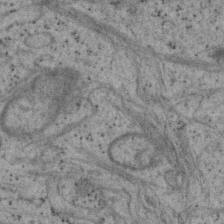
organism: Human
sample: HeLa cells